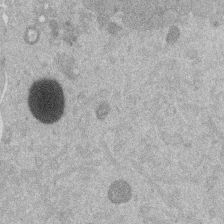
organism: Mouse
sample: Dividing mouse embryo 1 cell stage